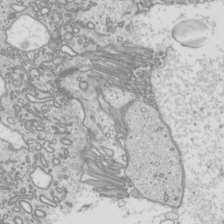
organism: Mouse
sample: Cilia; mouse epididymis